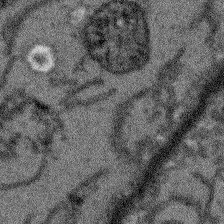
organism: Arabidopsis thaliana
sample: Root tip